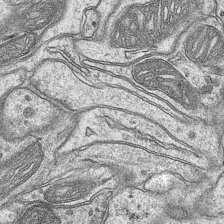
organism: Mouse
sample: CA1 Hippocampus